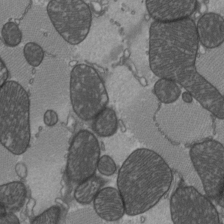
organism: C57BL Mouse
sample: Heart